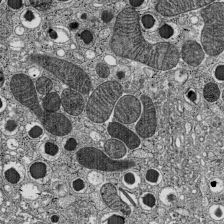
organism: C57BL Mouse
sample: Pancreatic islet